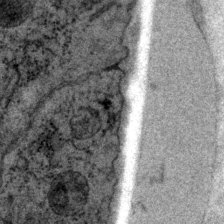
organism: P. pacificus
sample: Pharynx